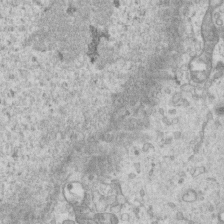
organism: Mouse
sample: Centriole in ependymal cells